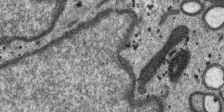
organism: Human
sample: Lung epithelial cells infected with SARS-CoV-2